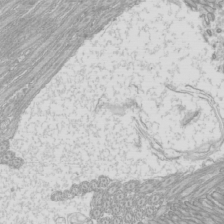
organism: Mouse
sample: Cilia; mouse epididymis